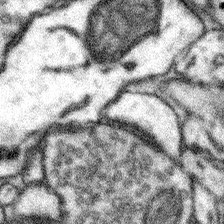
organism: Mouse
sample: Somatosensory cortex neuropil